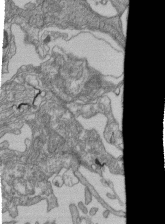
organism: Human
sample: Retinal organoid Rod and Cone cells